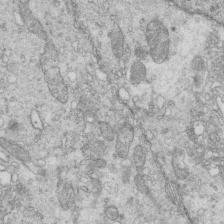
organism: Mouse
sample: Multiciliated cells